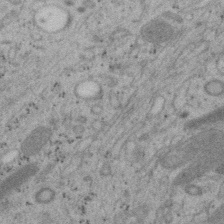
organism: Human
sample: HeLa cells